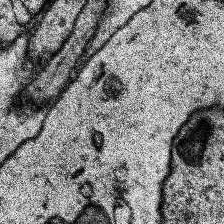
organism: Human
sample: Temporal Lobe